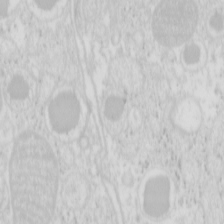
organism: Mouse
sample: Pancreas